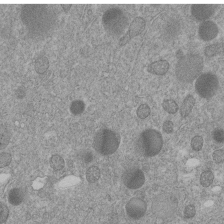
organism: C. elegans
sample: C. elegans embryo early stage